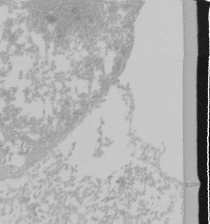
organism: Mouse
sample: Cancer cell death in ED-1 cells